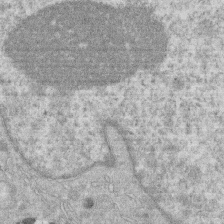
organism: Human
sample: Macrophage cells